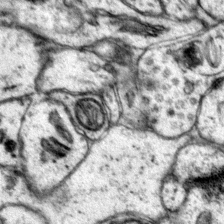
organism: Mouse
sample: Primary visual cortex